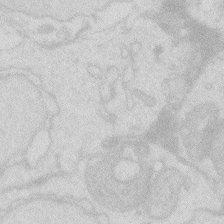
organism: Zebrafish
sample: Macrophage